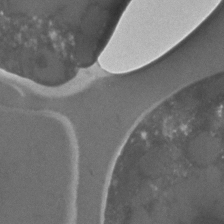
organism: C. elegans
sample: C. elegans embryo